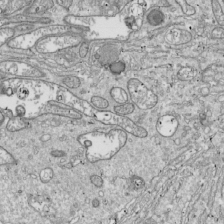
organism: Drosophila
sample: Cell division; meiosis; drosophila spermatocytes